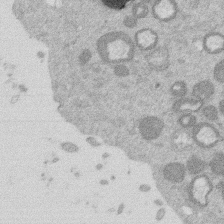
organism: Mouse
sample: Dividing mouse embryo 1 cell stage